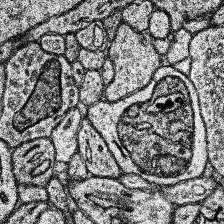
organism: Human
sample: Temporal Lobe